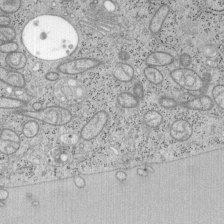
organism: Mouse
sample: OT-I killer T cells with ID8 ovarian cancer cells